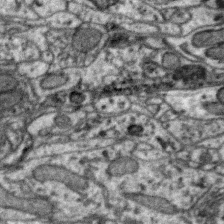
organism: Zebra finch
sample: Brain